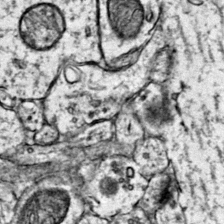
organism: Mouse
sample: Primary visual cortex